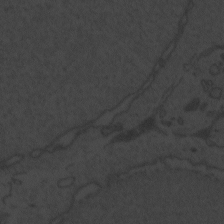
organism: Zebrafish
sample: Macrophage infected with Toxoplasma gondii